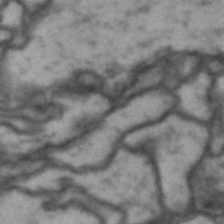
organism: Drosophila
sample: Brain